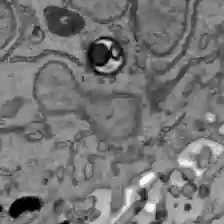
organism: C57BL Mouse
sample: Liver